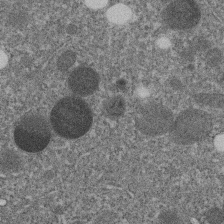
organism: C. elegans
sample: C. elegans embryo early stage